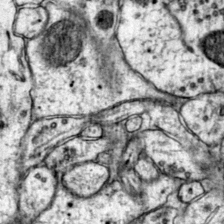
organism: Mouse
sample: Primary visual cortex